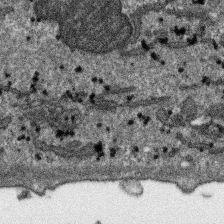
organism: Human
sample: Lung epithelial cells infected with SARS-CoV-2